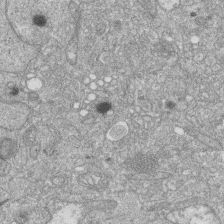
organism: Human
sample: HeLa cell HIV synapse